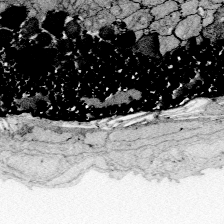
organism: Zebrafish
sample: Whole-Brain